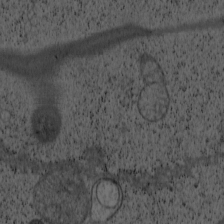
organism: African green monkey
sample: COS-7 cells